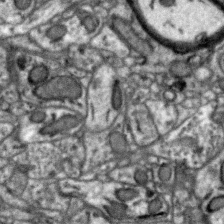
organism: Zebra finch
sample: Brain